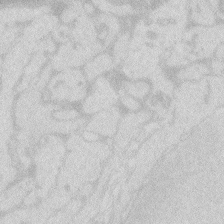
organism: Zebrafish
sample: Macrophage